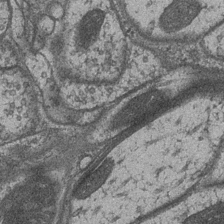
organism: Drosophila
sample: Optic medulla